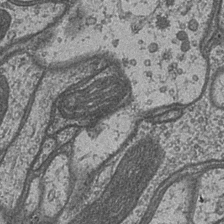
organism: Drosophila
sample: Optic medulla